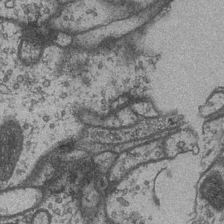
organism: Drosophila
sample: Optic medulla